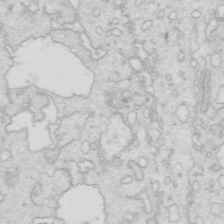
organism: Mouse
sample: Multiciliated cells